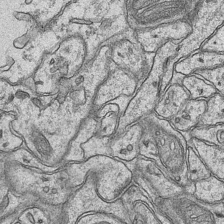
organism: Mouse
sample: CA1 Hippocampus